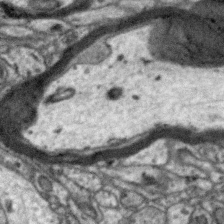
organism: Zebra finch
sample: Brain